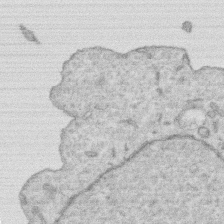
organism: Human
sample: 1205lu cells